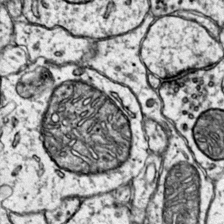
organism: Mouse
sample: Primary visual cortex